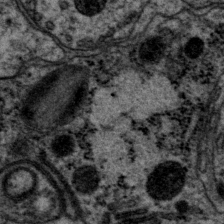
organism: P. pacificus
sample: Pharynx